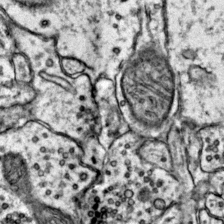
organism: Mouse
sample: Primary visual cortex